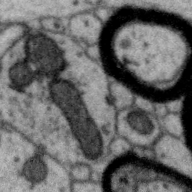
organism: Zebra finch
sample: Brain